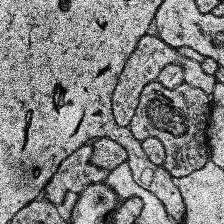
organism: Human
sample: Temporal Lobe